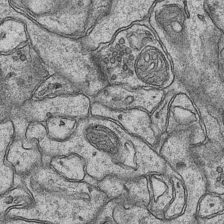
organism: Mouse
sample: CA1 Hippocampus